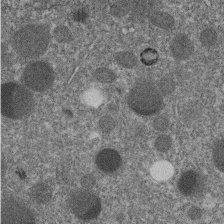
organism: C. elegans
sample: C. elegans embryo early stage